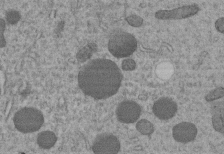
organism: C. elegans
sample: C. elegans embryo early stage